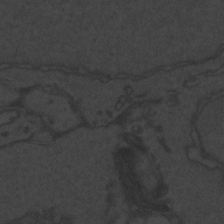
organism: Zebrafish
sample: Macrophage infected with Toxoplasma gondii